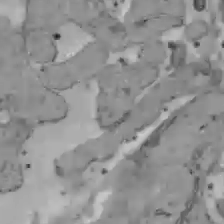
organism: C57BL Mouse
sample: Liver